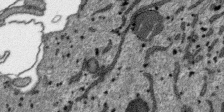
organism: Human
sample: Lung epithelial cells, uninfected (mock) control